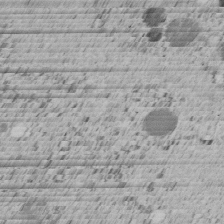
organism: C. elegans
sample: C. elegans embryo early stage